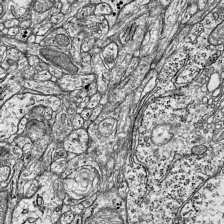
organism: Mouse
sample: Visual Cortex